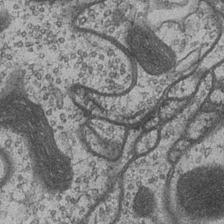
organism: Drosophila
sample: Optic medulla